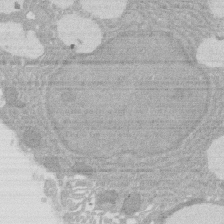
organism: Rat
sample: Salivary granule